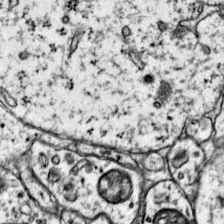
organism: Mouse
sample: Primary visual cortex